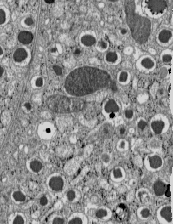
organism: C57BL Mouse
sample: Pancreatic islet